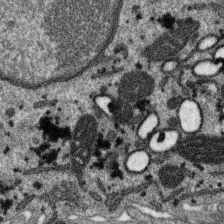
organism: Human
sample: Lung epithelial cells infected with SARS-CoV-2